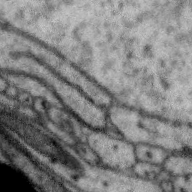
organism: Zebra finch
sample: Brain